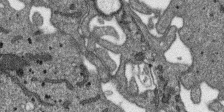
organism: Human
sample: Lung epithelial cells infected with SARS-CoV-2